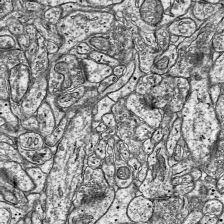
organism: Mouse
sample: Visual Cortex